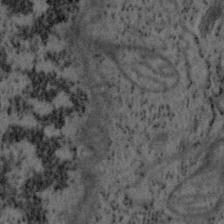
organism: Human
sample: HeLa cells